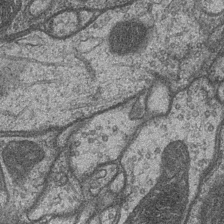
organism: Drosophila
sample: Optic medulla